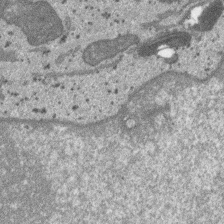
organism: Human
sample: Lung epithelial cells infected with SARS-CoV-2